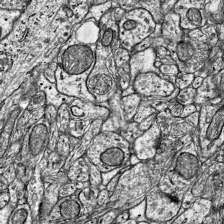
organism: Mouse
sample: Visual Cortex